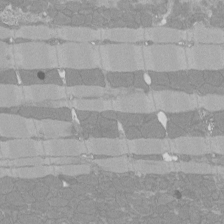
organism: Rat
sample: Left ventricle